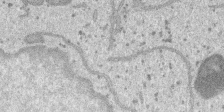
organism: Human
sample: Lung epithelial cells infected with SARS-CoV-2